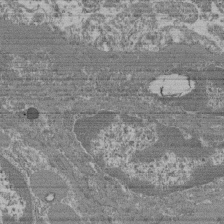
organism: Mouse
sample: Glomerulus